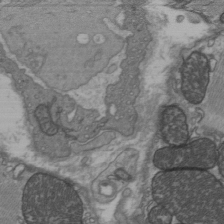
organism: C57BL Mouse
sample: Heart